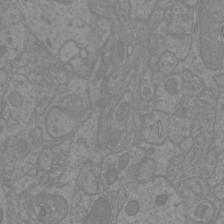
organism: Mouse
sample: Cortical neurons